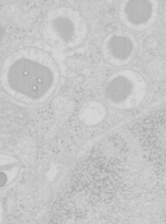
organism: Mouse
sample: Pancreas